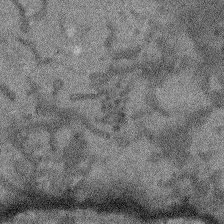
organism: Arabidopsis thaliana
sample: Root tip